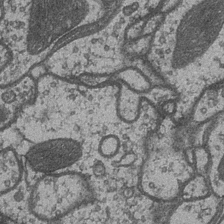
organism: Drosophila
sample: Optic medulla